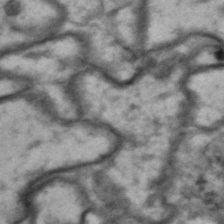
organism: Drosophila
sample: Brain